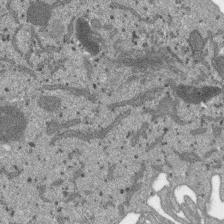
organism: Human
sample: Lung epithelial cells infected with SARS-CoV-2